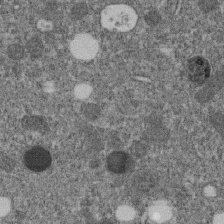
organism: C. elegans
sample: C. elegans embryo early stage